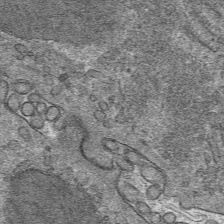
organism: Mouse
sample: Mouse hepatocytes